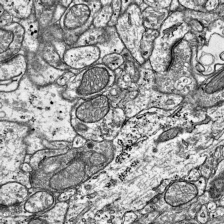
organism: Mouse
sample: Visual Cortex